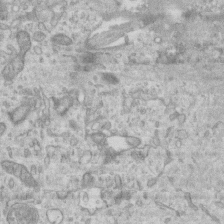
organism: Mouse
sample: Centriole in ependymal cells